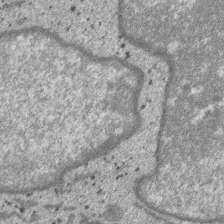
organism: Human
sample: Lung epithelial cells infected with SARS-CoV-2